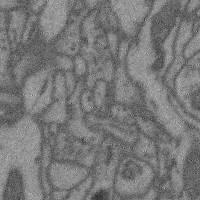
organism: Mouse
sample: Cerebral cortex